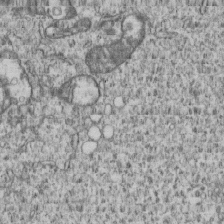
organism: Human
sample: MDA-MB-231 cells